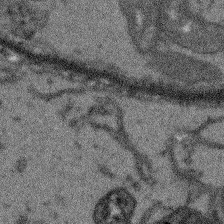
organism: Arabidopsis thaliana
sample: Root tip